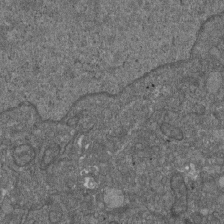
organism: Drosophila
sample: Nephrocyte